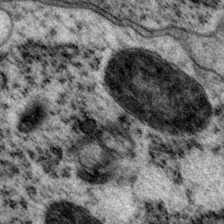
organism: P. pacificus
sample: Pharynx